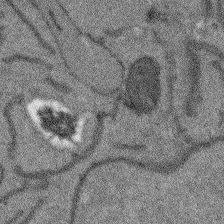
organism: Arabidopsis thaliana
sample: Root tip